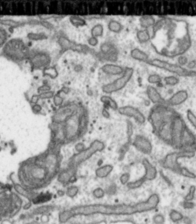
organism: Toxoplasma gondii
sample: Parasites in a vacuole inside a host cell